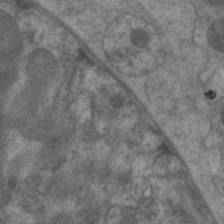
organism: C. elegans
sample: Pharynx